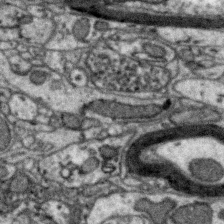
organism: Zebra finch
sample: Brain